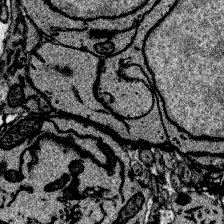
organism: Zebrafish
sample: Larval olfactory bulb